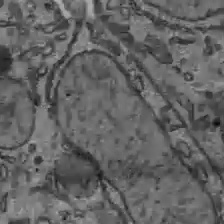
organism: C57BL Mouse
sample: Liver